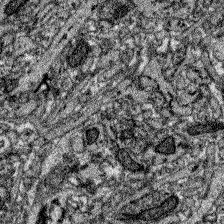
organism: Zebrafish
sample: Larval olfactory bulb